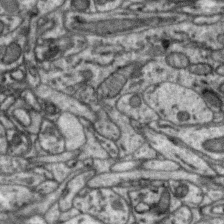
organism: Zebra finch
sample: Brain